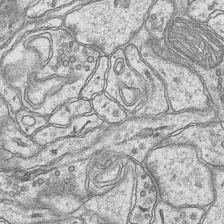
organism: Mouse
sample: CA1 Hippocampus